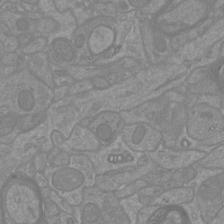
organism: Mouse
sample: Cortical neurons